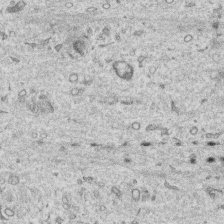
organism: Human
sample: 1205lu cells